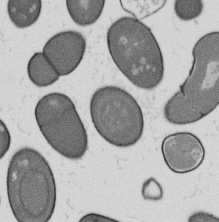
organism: B. subtilis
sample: Bacterial spore